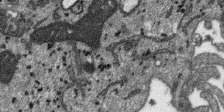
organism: Human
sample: Lung epithelial cells infected with SARS-CoV-2